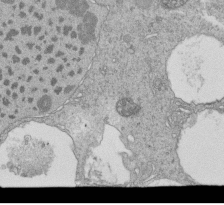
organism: Tetrahymena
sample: Cilia in tetrahymena